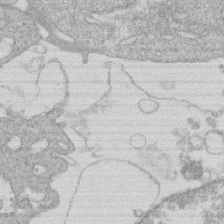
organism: Human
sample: Macrophage cells